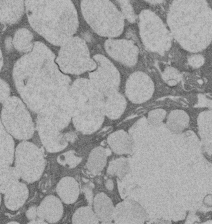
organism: Rat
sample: Salivary granule